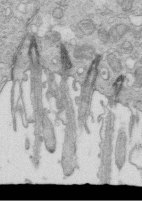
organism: Mouse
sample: Multiciliated cells